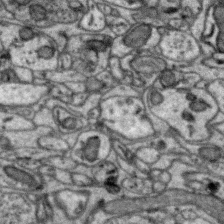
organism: Zebra finch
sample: Brain